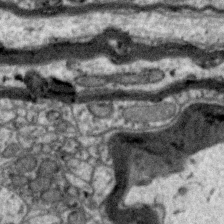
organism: Zebra finch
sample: Brain